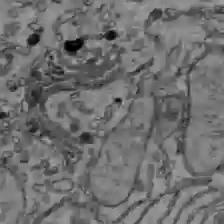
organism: C57BL Mouse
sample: Liver